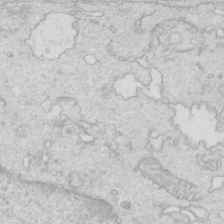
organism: Mouse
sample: Multiciliated cells